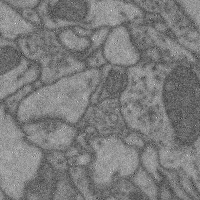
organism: Mouse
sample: Cerebral cortex